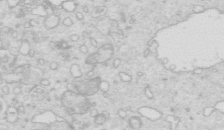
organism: Mouse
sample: Multiciliated cells